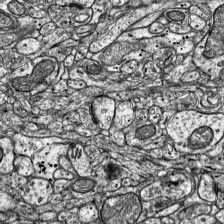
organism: Mouse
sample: Visual Cortex